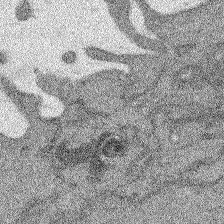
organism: Human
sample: HeLa cells